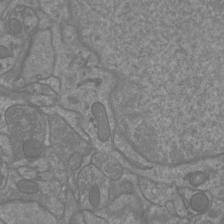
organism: Mouse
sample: Cortical neurons